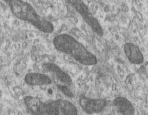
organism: Human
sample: Centriole in RPE cells